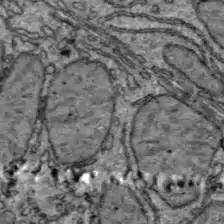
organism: C57BL Mouse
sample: Liver